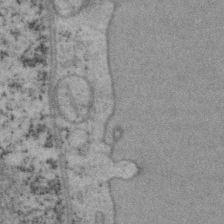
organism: Human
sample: HeLa cells